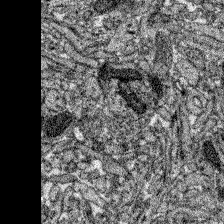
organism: Zebrafish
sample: Larval olfactory bulb